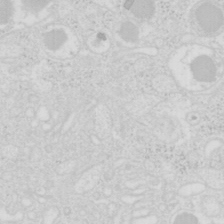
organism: Mouse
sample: Pancreas